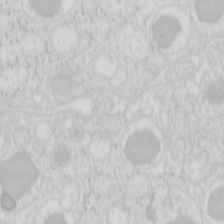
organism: Mouse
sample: Pancreas